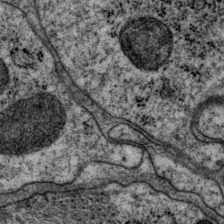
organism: P. pacificus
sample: Pharynx